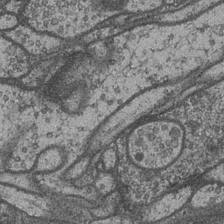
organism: Drosophila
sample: Optic medulla